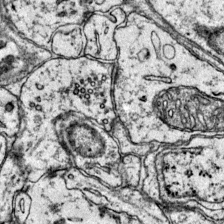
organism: Mouse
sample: Primary visual cortex